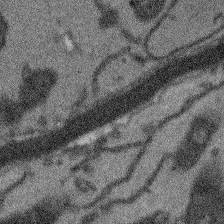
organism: Arabidopsis thaliana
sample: Root tip